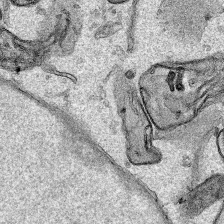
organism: Human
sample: Mitochondria in HCT116 cells